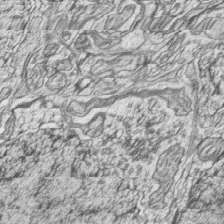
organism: Zebrafish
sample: synaptic ribbons in rod cells and cone cells